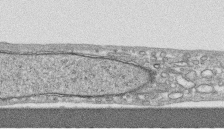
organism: Human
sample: CRL-1474